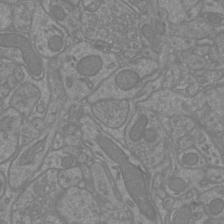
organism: Mouse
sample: Cortical neurons